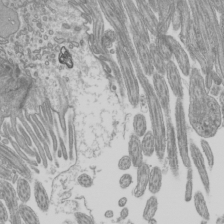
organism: Mouse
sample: Cilia; mouse epididymis